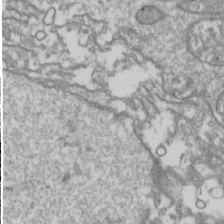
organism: Drosophila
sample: Cell division; meiosis; drosophila spermatocytes